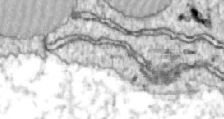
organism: Zebrafish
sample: Actinotrichia fibers